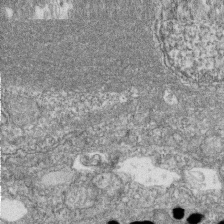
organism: Zebrafish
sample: Cilia; retinal pigment epithelium